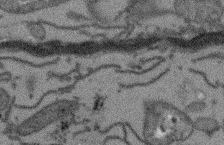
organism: Arabidopsis thaliana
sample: Root tip